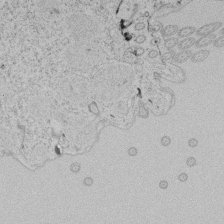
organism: Tetrahymena